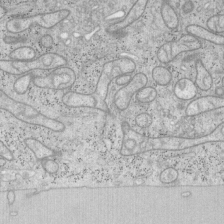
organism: Mouse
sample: OT-I killer T cells with ID8 ovarian cancer cells